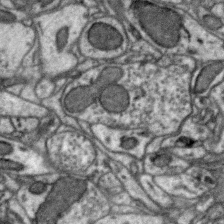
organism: Zebra finch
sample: Brain